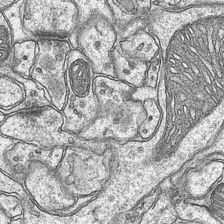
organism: Mouse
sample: CA1 Hippocampus